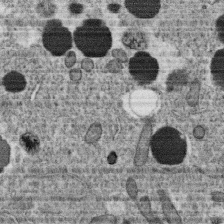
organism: C. elegans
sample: C. elegans oocyte; sperm cells